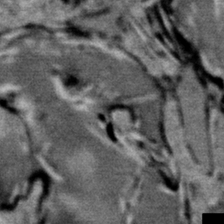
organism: Mouse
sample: Mouse Salivary gland